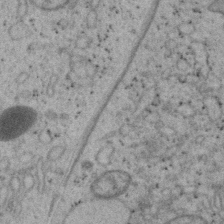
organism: Human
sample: HeLa cells